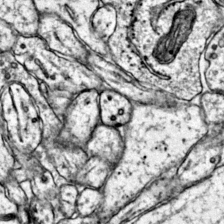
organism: Mouse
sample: Primary visual cortex